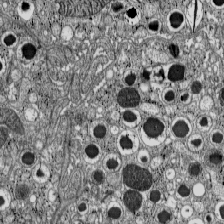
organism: C57BL Mouse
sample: Pancreatic islet